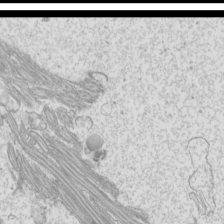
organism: Mouse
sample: Cilia; mouse epididymis